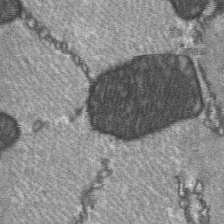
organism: C57BL Mouse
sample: Soleus